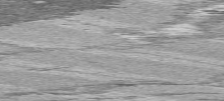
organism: C57BL Mouse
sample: Heart